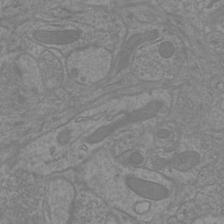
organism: Mouse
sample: Cortical neurons